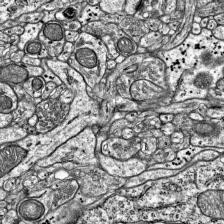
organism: Mouse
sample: Visual Cortex